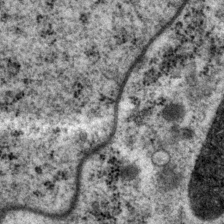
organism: P. pacificus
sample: Pharynx